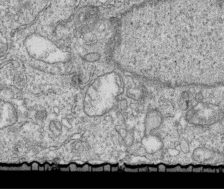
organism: Human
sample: HeLa cell HIV synapse